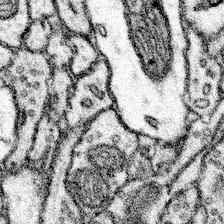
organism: Mouse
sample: Somatosensory cortex neuropil